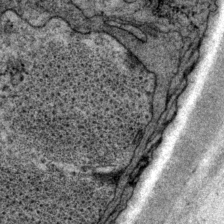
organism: P. pacificus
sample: Pharynx